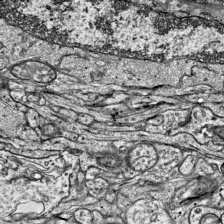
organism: Mouse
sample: Visual Cortex